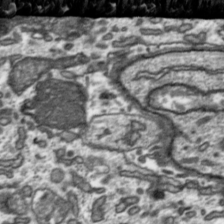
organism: Toxoplasma gondii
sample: Parasites in a vacuole inside a host cell